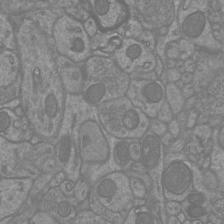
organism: Mouse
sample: Cortical neurons